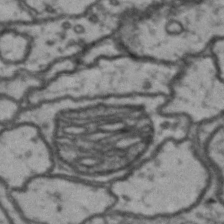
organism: Drosophila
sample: Brain